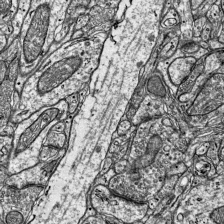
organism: Mouse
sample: Visual Cortex